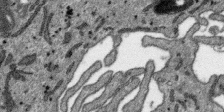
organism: Human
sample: Lung epithelial cells, uninfected (mock) control